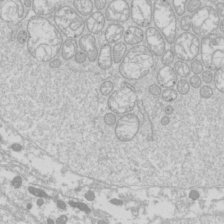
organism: Drosophila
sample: Cell division; meiosis; drosophila spermatocytes